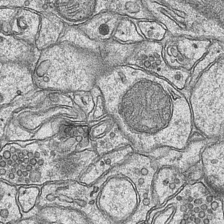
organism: Mouse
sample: CA1 Hippocampus